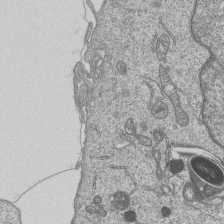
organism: Human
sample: MDA-MB-231 cells